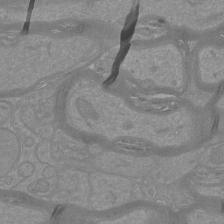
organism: Mouse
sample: Cortical neurons